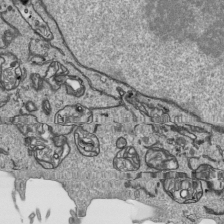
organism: Human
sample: Mitochondria in HCT116 cells